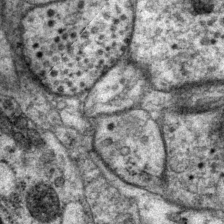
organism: P. pacificus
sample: Pharynx